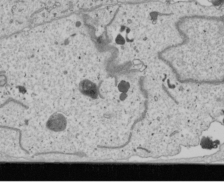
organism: Human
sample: Mitochondria in U2OS cells